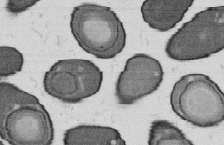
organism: B. subtilis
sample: Bacterial spore